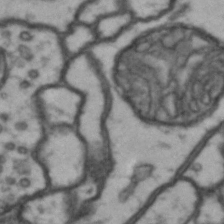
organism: Drosophila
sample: Brain